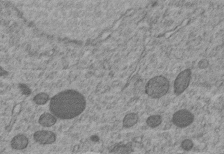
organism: C. elegans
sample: C. elegans embryo early stage